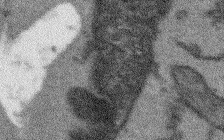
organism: Arabidopsis thaliana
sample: Root tip